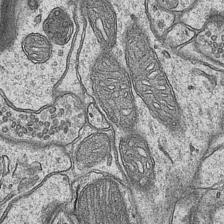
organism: Mouse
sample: CA1 Hippocampus